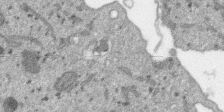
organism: Human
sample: Lung epithelial cells infected with SARS-CoV-2